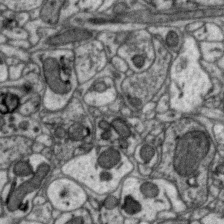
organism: Zebra finch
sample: Brain